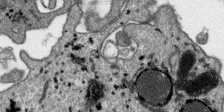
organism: Human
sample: Lung epithelial cells, uninfected (mock) control